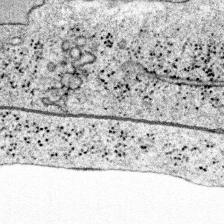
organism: Human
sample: HeLa cells